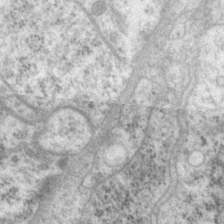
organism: P. pacificus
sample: Pharynx